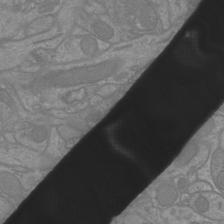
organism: Mouse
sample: Cortical neurons